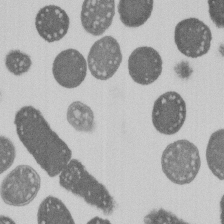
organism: E. coli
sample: Bacterial nucleoid